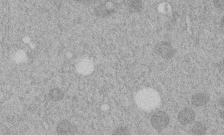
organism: C. elegans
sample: C. elegans embryo early stage